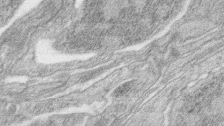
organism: Zebrafish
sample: synaptic ribbons in rod cells and cone cells